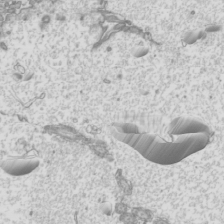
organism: Mouse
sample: Cilia; mouse epididymis